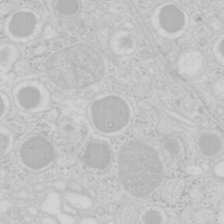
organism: Mouse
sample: Pancreas